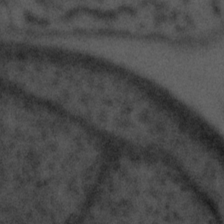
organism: Tuwongella immobilis